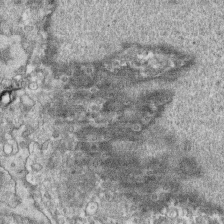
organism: Human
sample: CRL-1474